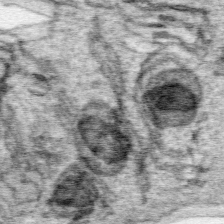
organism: Human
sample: HeLa cells